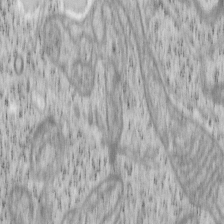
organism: Human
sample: HeLa cells